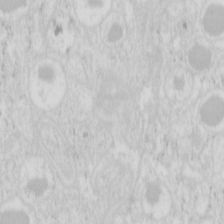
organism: Mouse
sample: Pancreas